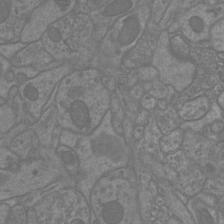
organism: Mouse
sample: Cortical neurons